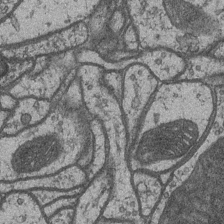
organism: Drosophila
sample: Optic medulla